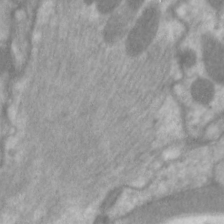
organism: C. elegans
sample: Pharynx